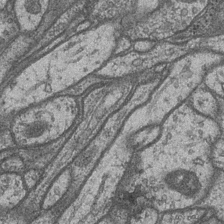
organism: Drosophila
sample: Optic medulla